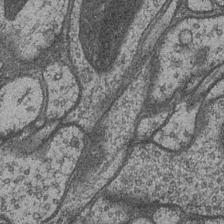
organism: Drosophila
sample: Optic medulla